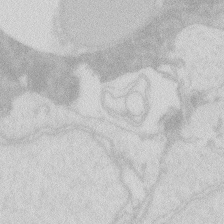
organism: Zebrafish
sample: Macrophage